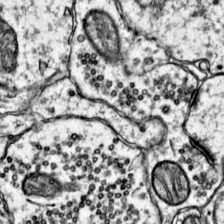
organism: Mouse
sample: Primary visual cortex